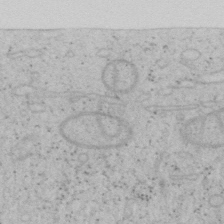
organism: Human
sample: HeLa cells